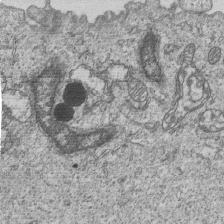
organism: Human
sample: MDA-MB-231 cells